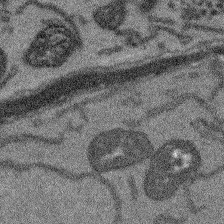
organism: Arabidopsis thaliana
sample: Root tip